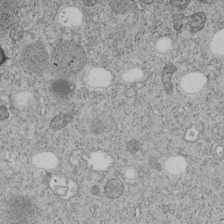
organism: C. elegans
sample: C. elegans embryo early stage